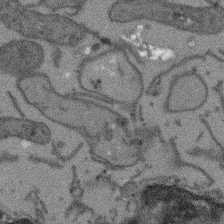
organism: Arabidopsis thaliana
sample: Root tip